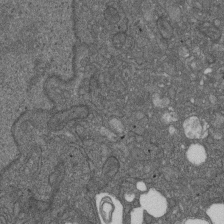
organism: Drosophila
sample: Nephrocyte